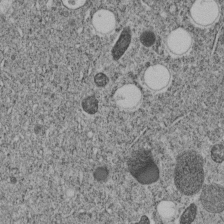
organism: C. elegans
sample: C. elegans embryo early stage